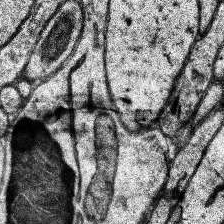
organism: Human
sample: Temporal Lobe